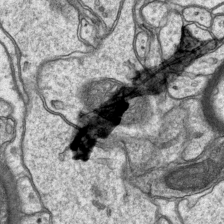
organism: Mouse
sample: CA1 Hippocampus